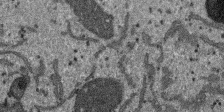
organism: Human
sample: Lung epithelial cells infected with SARS-CoV-2